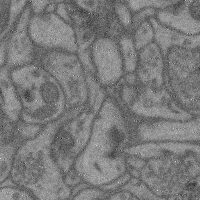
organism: Mouse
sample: Cerebral cortex